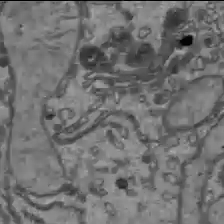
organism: C57BL Mouse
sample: Liver